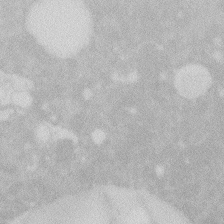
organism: Zebrafish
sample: Macrophage